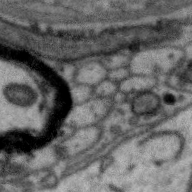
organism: Zebra finch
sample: Brain